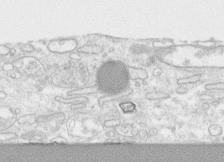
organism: Human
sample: CRL-1474